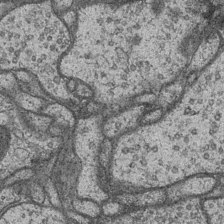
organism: Drosophila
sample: Optic medulla